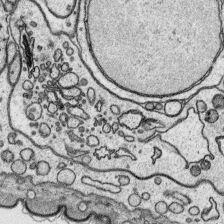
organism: Platynereis dumerilii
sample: Parapodia